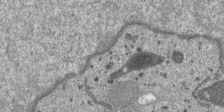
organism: Human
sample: Lung epithelial cells infected with SARS-CoV-2